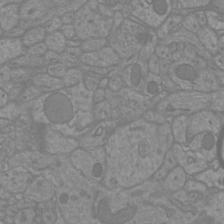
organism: Mouse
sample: Cortical neurons